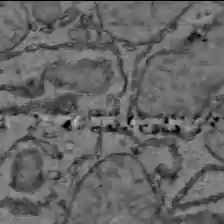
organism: C57BL Mouse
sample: Liver